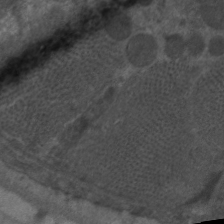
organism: C. elegans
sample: Pharynx